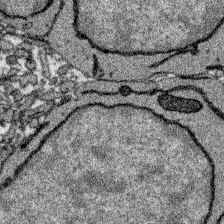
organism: Zebrafish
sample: Larval olfactory bulb